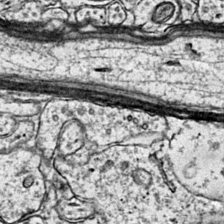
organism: Mouse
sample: Primary visual cortex